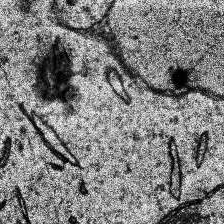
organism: Human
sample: Temporal Lobe